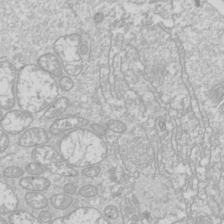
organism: Drosophila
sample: Cell division; meiosis; drosophila spermatocytes